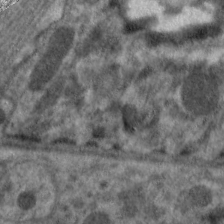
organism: C. elegans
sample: Pharynx